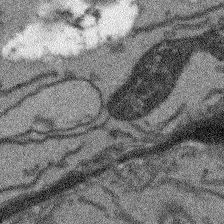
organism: Arabidopsis thaliana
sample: Root tip